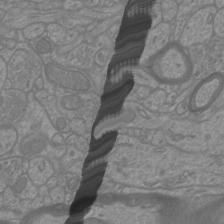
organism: Mouse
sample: Cortical neurons